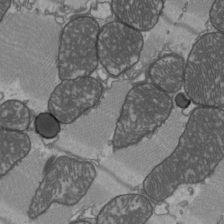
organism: C57BL Mouse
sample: Heart